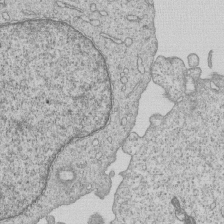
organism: Human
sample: MDA-MB-231 cells